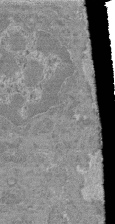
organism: Mouse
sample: Glomerulus